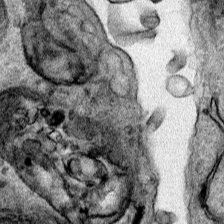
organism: Human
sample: Mitochondria in HCT116 cells